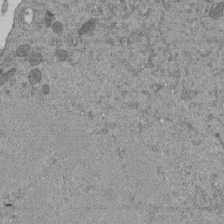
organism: Mouse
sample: ED-1 cell nuclei; centrioles